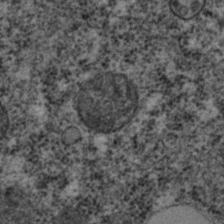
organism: C. elegans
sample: C. elegans embryo